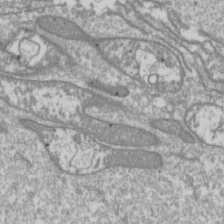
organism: Drosophila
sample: Cell division; meiosis; drosophila spermatocytes